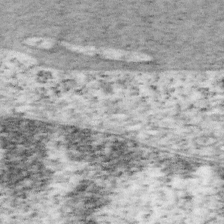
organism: Mouse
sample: OT-I killer T cells with ID8 ovarian cancer cells